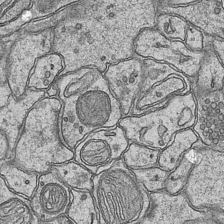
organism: Mouse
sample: CA1 Hippocampus